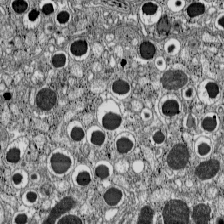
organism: C57BL Mouse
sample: Pancreatic islet